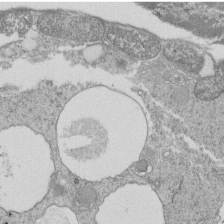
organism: Tetrahymena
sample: Cilia in tetrahymena